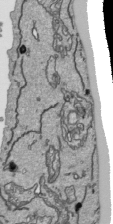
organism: Human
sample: Mitochondria in HCT116 cells